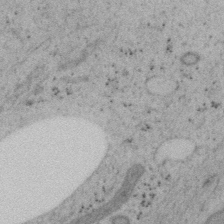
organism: Human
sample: HeLa cells